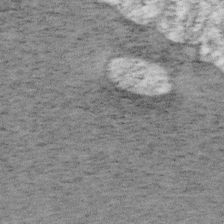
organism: Mouse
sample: OT-I killer T cells with ID8 ovarian cancer cells